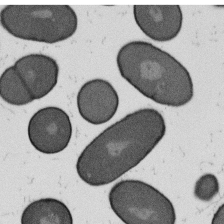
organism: B. subtilis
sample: Bacterial spore